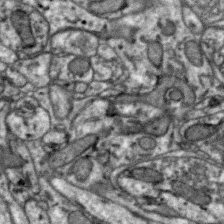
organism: Zebra finch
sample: Brain